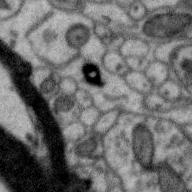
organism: Zebra finch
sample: Brain